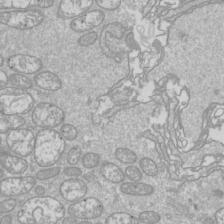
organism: Drosophila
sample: Cell division; meiosis; drosophila spermatocytes